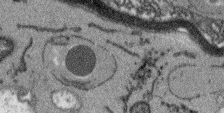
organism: Arabidopsis thaliana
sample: Root tip